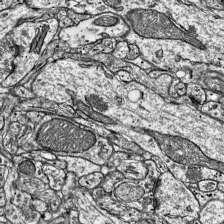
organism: Mouse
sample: Visual Cortex